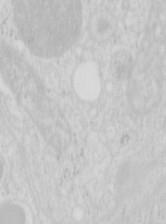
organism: Mouse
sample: Pancreas